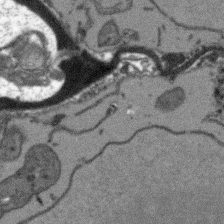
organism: Arabidopsis thaliana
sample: Root tip